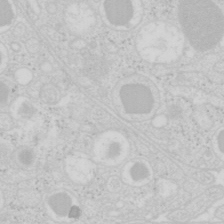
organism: Mouse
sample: Pancreas